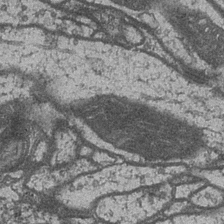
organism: Drosophila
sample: Optic medulla